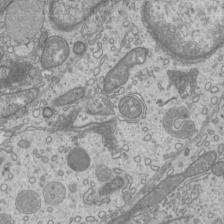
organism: Mouse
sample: Cilia; mouse epididymis